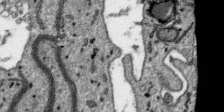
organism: Human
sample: Lung epithelial cells, uninfected (mock) control